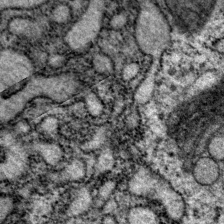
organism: P. pacificus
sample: Pharynx